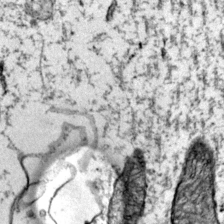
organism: Mouse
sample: Primary visual cortex